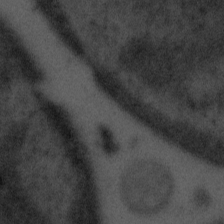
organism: Tuwongella immobilis